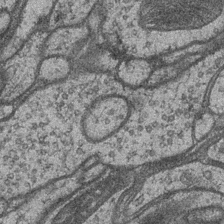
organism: Drosophila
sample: Optic medulla